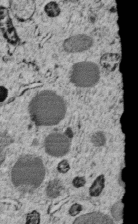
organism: C. elegans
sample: C. elegans embryo early stage